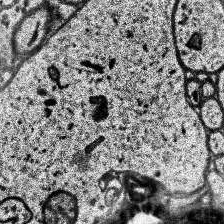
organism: Human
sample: Temporal Lobe